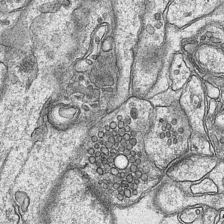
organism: Mouse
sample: CA1 Hippocampus